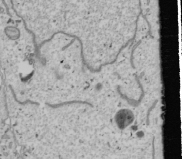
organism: Human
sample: Mitochondria in U2OS cells